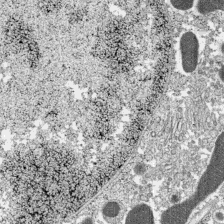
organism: C57BL Mouse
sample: Pancreatic islet